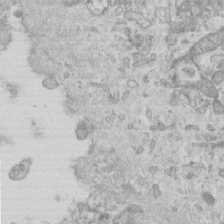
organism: Mouse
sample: Centriole in ependymal cells